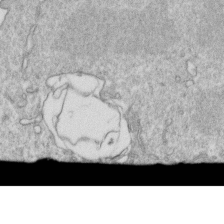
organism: Mouse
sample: Activated OT-1 CD8+ T cells